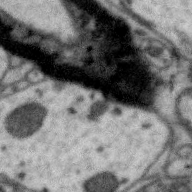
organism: Zebra finch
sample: Brain